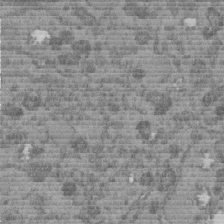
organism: C. elegans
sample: C. elegans embryo early stage